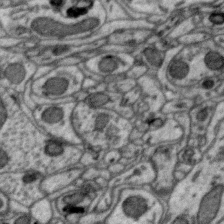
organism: Zebra finch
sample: Brain